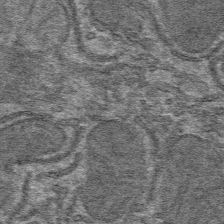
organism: Mouse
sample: Mouse hepatocytes